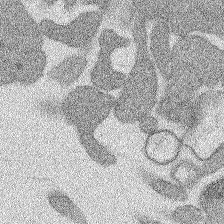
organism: Human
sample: HeLa cells